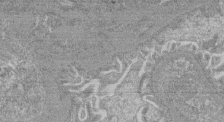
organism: Mouse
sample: Glomerulus